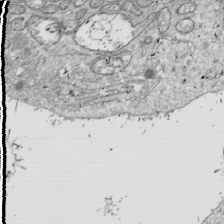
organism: Drosophila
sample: Cell division; meiosis; drosophila spermatocytes